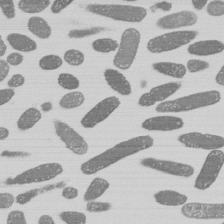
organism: E. coli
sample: Bacterial nucleoid